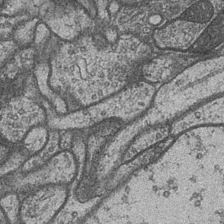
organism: Drosophila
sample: Optic medulla